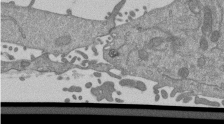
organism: Mouse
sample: ED-1 cell nuclei; centrioles